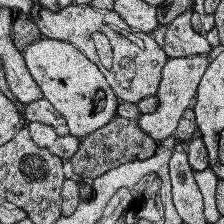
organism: Human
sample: Temporal Lobe